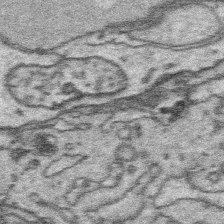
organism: Platynereis dumerilii